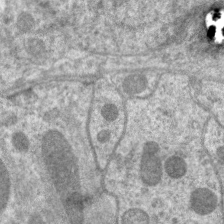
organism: C. elegans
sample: Pharynx